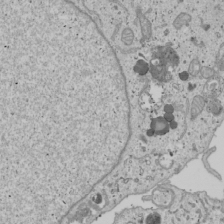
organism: Human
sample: Mitochondria in U2OS cells